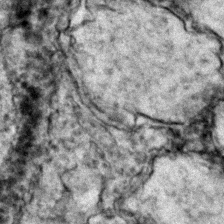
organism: Zebrafish